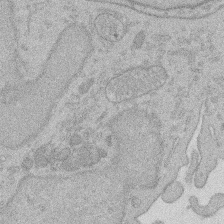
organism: Rat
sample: Salivary granule